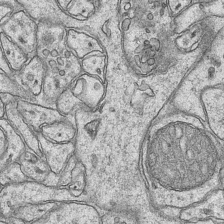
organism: Mouse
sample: CA1 Hippocampus